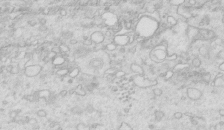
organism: Mouse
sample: Multiciliated cells